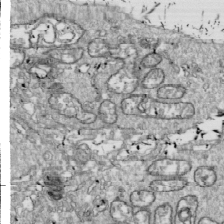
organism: Drosophila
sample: Cell division; meiosis; drosophila spermatocytes